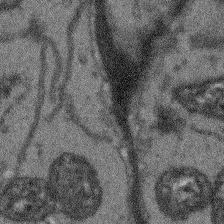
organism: Arabidopsis thaliana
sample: Root tip